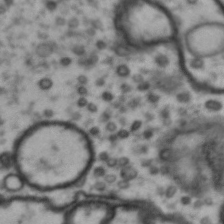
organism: Drosophila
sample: Brain